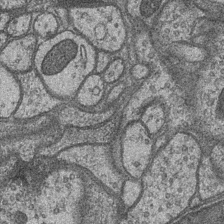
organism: Drosophila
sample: Optic medulla